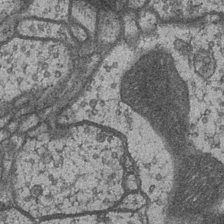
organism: Drosophila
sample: Optic medulla